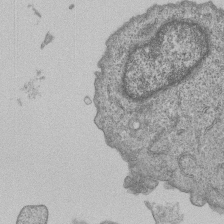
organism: Human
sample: MDA-MB-231 cells